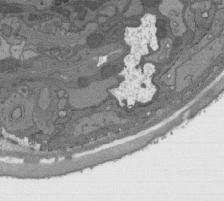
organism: C. elegans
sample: AFD neurons C. elegans